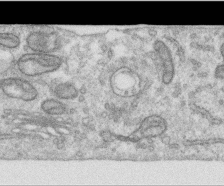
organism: Human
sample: Centriole in RPE cells